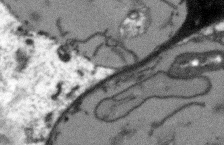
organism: Arabidopsis thaliana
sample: Root tip